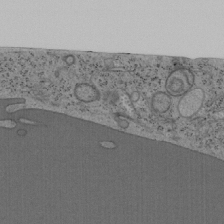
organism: Human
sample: HeLa cells